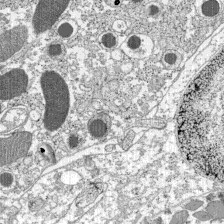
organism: C57BL Mouse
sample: Pancreatic islet